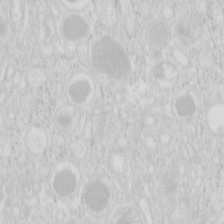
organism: Mouse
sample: Pancreas